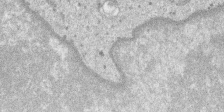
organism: Human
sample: Lung epithelial cells infected with SARS-CoV-2